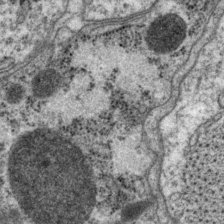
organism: P. pacificus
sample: Pharynx